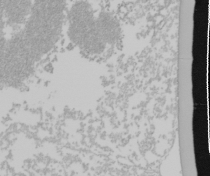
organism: Mouse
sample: Cancer cell death in ED-1 cells